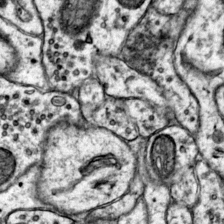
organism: Mouse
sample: Primary visual cortex